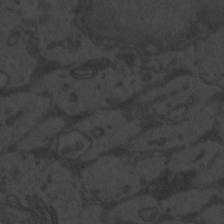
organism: Zebrafish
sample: Macrophage infected with Toxoplasma gondii